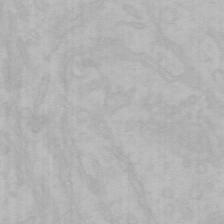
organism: Mouse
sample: Choroid plexus